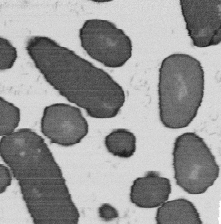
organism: B. subtilis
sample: Bacterial spore